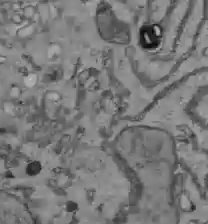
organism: C57BL Mouse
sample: Liver